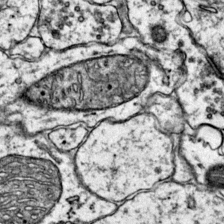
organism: Mouse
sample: Primary visual cortex